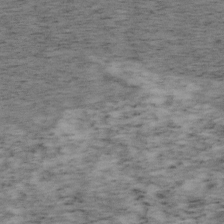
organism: Mouse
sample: OT-I killer T cells with ID8 ovarian cancer cells